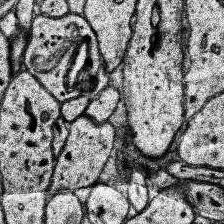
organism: Human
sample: Temporal Lobe